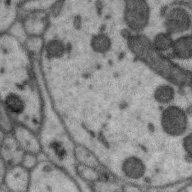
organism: Zebra finch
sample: Brain